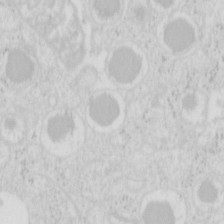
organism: Mouse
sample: Pancreas